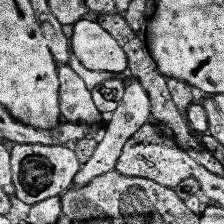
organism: Human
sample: Temporal Lobe